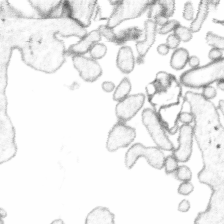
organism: Human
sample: HeLa cells